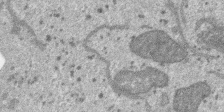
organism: Human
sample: Lung epithelial cells infected with SARS-CoV-2